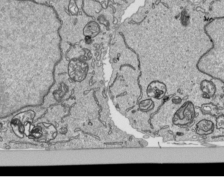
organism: Human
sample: Mitochondria in HCT116 cells